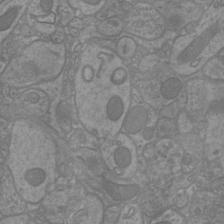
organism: Mouse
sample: Cortical neurons